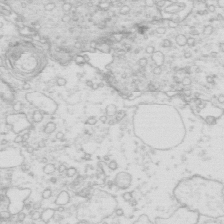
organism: Mouse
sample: Multiciliated cells